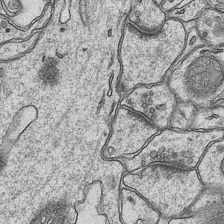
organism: Mouse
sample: CA1 Hippocampus